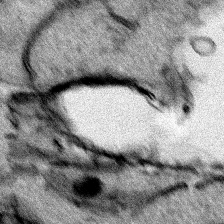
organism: Human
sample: Mitochondria in HCT116 cells